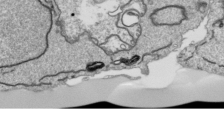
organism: Human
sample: Mitochondria in HCT116 cells